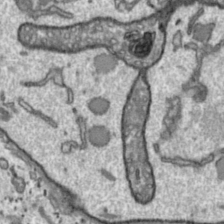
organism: Toxoplasma gondii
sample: Parasites in a vacuole inside a host cell